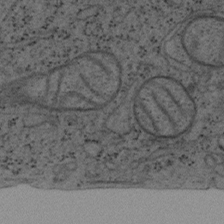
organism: Human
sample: HeLa cells